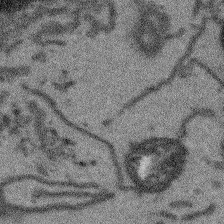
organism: Arabidopsis thaliana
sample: Root tip